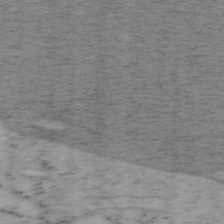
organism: Mouse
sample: OT-I killer T cells with ID8 ovarian cancer cells